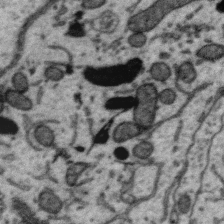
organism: Zebra finch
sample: Brain